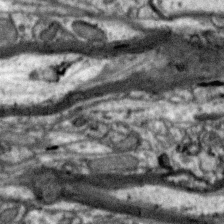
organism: Zebra finch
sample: Brain